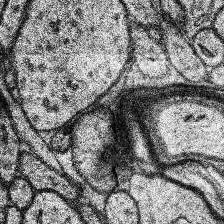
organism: Human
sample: Temporal Lobe